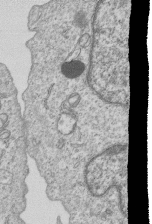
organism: Human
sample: MDA-MB-231 cells